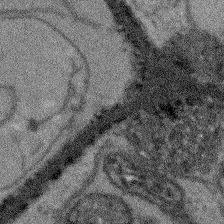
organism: Arabidopsis thaliana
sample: Root tip